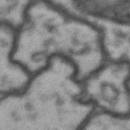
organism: Drosophila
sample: Brain